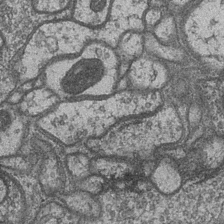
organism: Drosophila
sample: Optic medulla